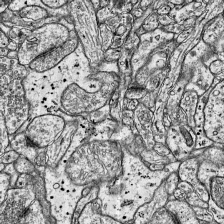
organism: Mouse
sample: Visual Cortex